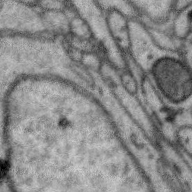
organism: Zebra finch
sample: Brain